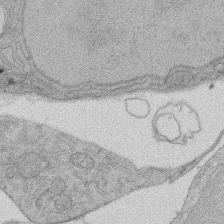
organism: Rat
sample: Salivary granule